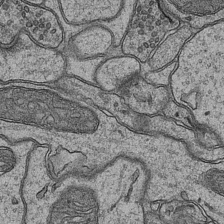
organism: Mouse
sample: CA1 Hippocampus